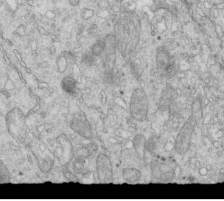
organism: Mouse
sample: Multiciliated cells